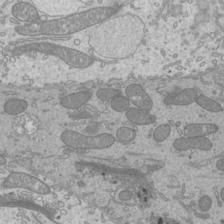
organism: Mouse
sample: Cilia; mouse epididymis